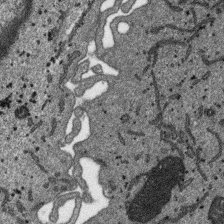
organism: Human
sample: Lung epithelial cells infected with SARS-CoV-2